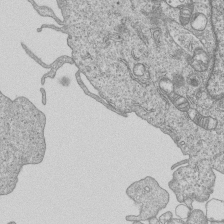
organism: Human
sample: MDA-MB-231 cells